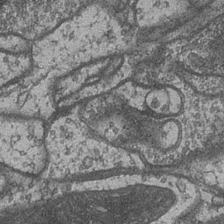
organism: Drosophila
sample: Optic medulla